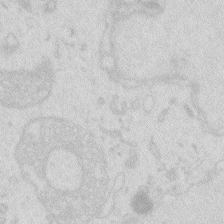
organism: Zebrafish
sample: Macrophage